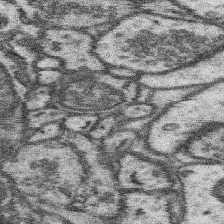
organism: Mouse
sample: Somatosensory cortex neuropil